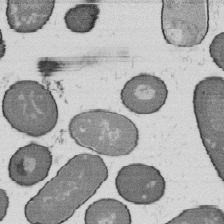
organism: B. subtilis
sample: Bacterial spore